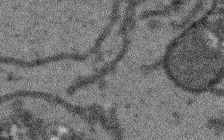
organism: Arabidopsis thaliana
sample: Root tip